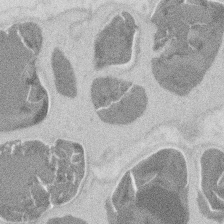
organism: Mouse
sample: T cell stromal cell synapse